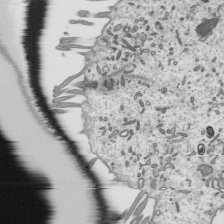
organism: Mouse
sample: Mouse epididymis efferent ductule cilia